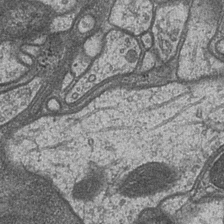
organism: Drosophila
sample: Optic medulla